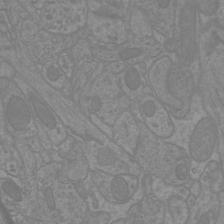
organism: Mouse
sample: Cortical neurons